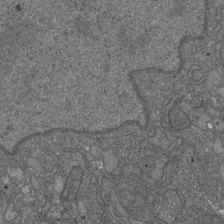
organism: Drosophila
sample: Nephrocyte